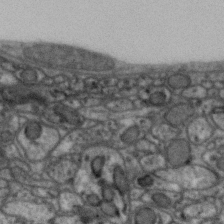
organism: Zebra finch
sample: Brain